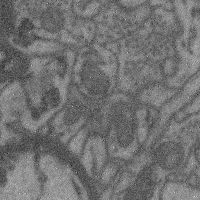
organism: Mouse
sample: Cerebral cortex